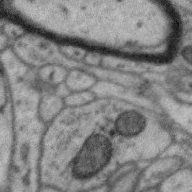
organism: Zebra finch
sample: Brain